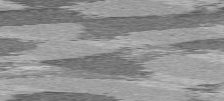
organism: C57BL Mouse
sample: Heart